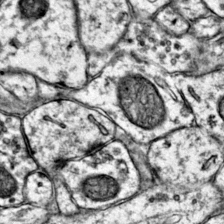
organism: Mouse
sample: Primary visual cortex